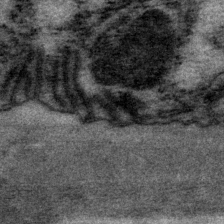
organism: P. pacificus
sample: Pharynx